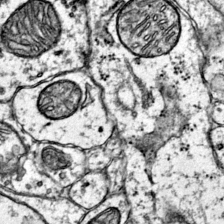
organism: Mouse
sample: Primary visual cortex